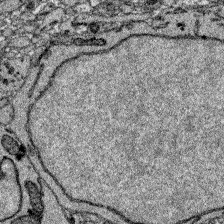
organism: Zebrafish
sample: Larval olfactory bulb